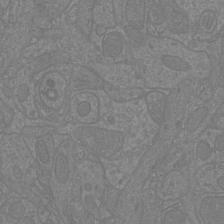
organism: Mouse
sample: Cortical neurons